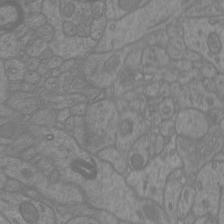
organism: Mouse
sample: Cortical neurons